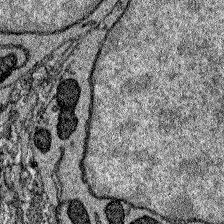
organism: Zebrafish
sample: Larval olfactory bulb